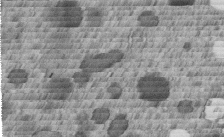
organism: C. elegans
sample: C. elegans embryo early stage